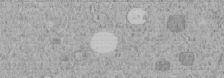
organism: C. elegans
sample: C. elegans embryo early stage